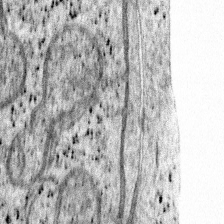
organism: Human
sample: HeLa cells